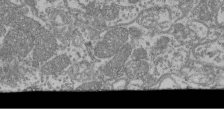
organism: Mouse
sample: Glomerulus